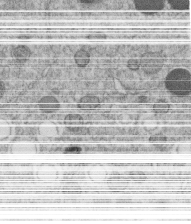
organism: C. elegans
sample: C. elegans embryo early stage